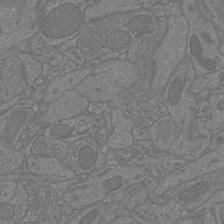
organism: Mouse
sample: Cortical neurons